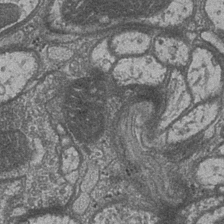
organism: Drosophila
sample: Optic medulla